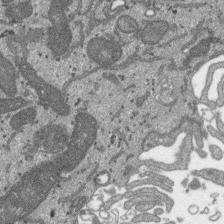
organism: Human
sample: Lung epithelial cells infected with SARS-CoV-2